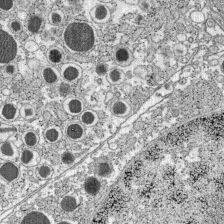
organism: C57BL Mouse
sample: Pancreatic islet